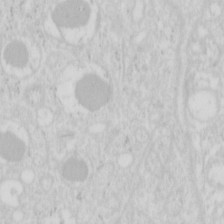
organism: Mouse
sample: Pancreas